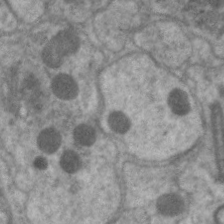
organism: C. elegans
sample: Pharynx